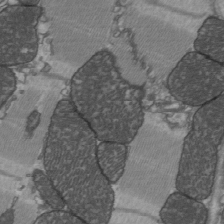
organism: C57BL Mouse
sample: Heart